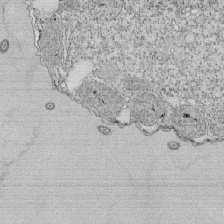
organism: Tetrahymena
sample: Cilia in tetrahymena